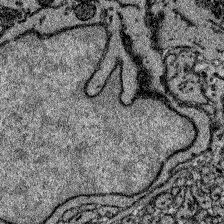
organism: Zebrafish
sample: Larval olfactory bulb